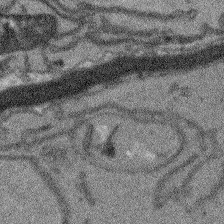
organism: Arabidopsis thaliana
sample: Root tip